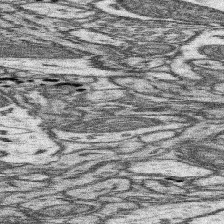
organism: Mouse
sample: Somatosensory cortex neuropil